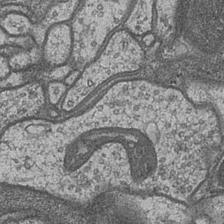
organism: Drosophila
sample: Optic medulla